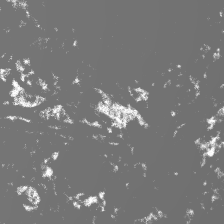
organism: Zebra finch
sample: Brain